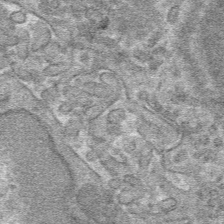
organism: Mouse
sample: Mouse hepatocytes